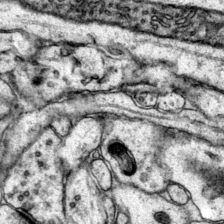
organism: Mouse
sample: Primary visual cortex